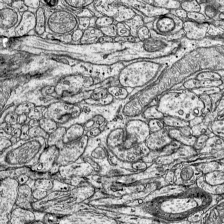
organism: Mouse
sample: Visual Cortex